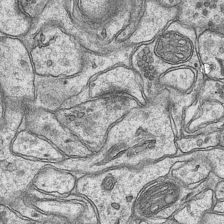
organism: Mouse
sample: CA1 Hippocampus